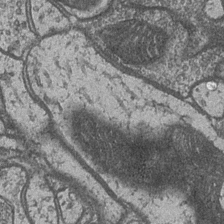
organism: Drosophila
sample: Optic medulla